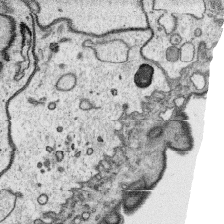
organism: Platynereis dumerilii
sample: Parapodia